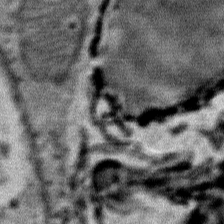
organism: Mouse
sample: Mouse Salivary gland